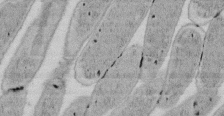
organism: E. coli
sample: Bacterial nucleoid